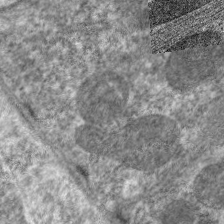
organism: C. elegans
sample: Pharynx